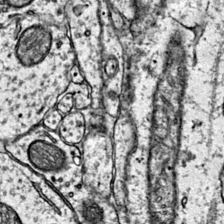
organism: Mouse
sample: Primary visual cortex